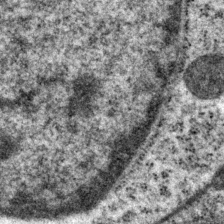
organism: P. pacificus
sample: Pharynx